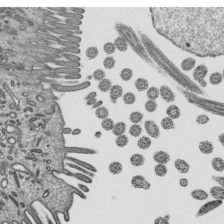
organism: Mouse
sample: Mouse epididymis efferent ductule cilia